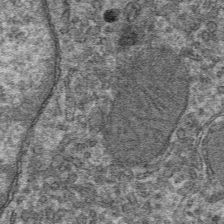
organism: Mouse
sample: Mouse hepatocytes